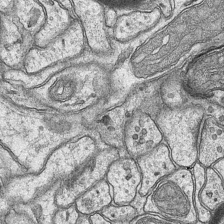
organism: Mouse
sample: CA1 Hippocampus